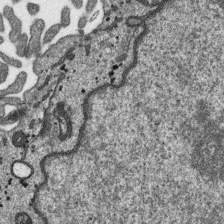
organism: Human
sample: Lung epithelial cells infected with SARS-CoV-2